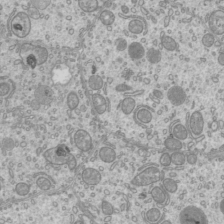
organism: Mouse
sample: Cilia; mouse epididymis